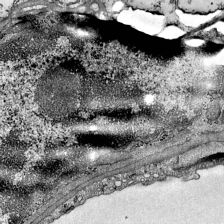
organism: Mouse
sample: Visual Cortex